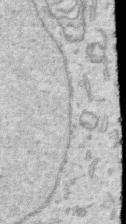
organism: Human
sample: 1205lu cells